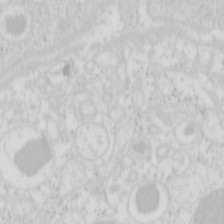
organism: Mouse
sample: Pancreas